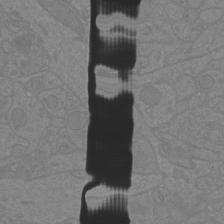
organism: Mouse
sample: Cortical neurons